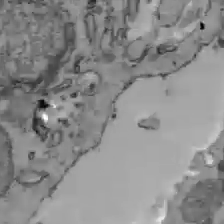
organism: C57BL Mouse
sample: Liver